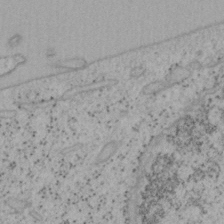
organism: Human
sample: HeLa cells